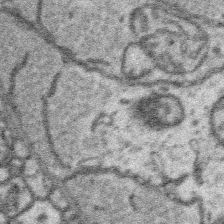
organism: Platynereis dumerilii